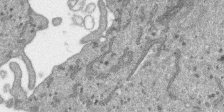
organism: Human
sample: Lung epithelial cells infected with SARS-CoV-2